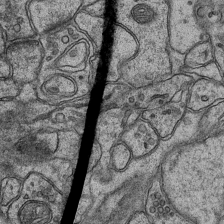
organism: Mouse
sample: CA1 Hippocampus